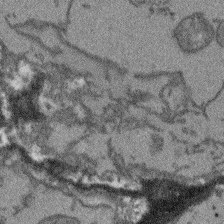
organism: Arabidopsis thaliana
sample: Root tip